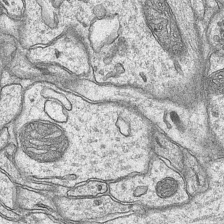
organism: Mouse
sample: CA1 Hippocampus